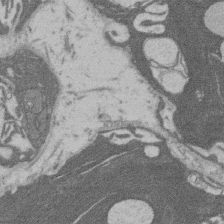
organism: Rat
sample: Salivary granule